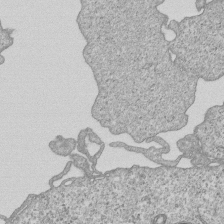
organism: Human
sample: MDA-MB-231 cells